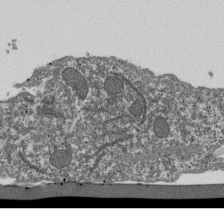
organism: Dictyostelium discoideum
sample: Dictyostelium multivesicular bodies